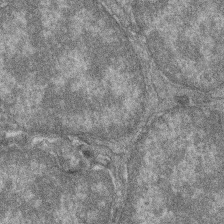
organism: Zebrafish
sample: Cilia; retinal pigment epithelium